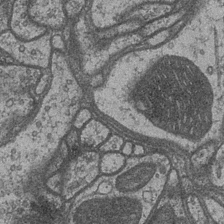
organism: Drosophila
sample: Optic medulla